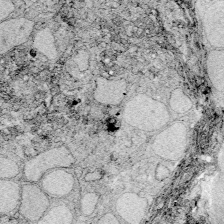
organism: Zebrafish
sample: Whole-Brain